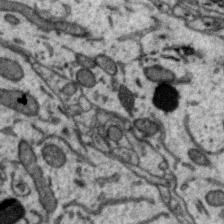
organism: Zebra finch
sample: Brain